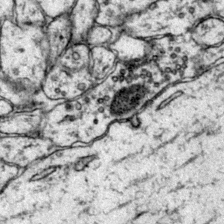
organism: Mouse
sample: Primary visual cortex